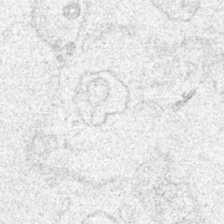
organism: Human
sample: Mitochondria in HCT116 cells